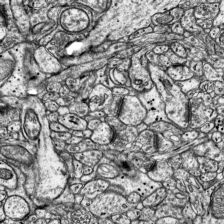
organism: Mouse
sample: Visual Cortex